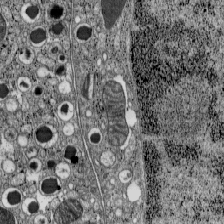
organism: C57BL Mouse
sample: Pancreatic islet